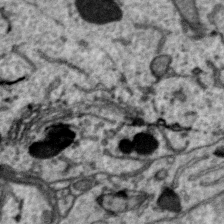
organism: Zebra finch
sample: Brain